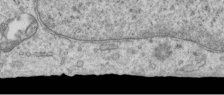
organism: Human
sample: Centriole in RPE cells